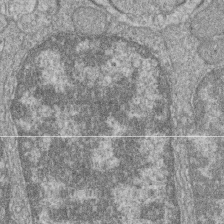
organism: Zebrafish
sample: Cilia; retinal pigment epithelium